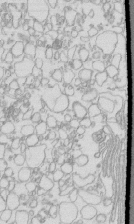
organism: Mouse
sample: Macrophages